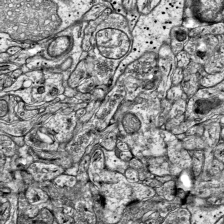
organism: Mouse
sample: Visual Cortex